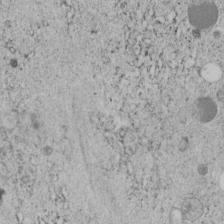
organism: C. elegans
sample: C. elegans embryo early stage